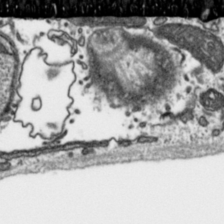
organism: Toxoplasma gondii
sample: Parasites in a vacuole inside a host cell